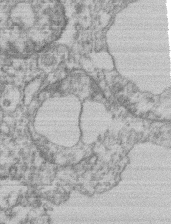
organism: Mouse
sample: T cell stromal cell synapse